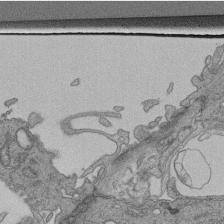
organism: Human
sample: Retinal organoid Rod and Cone cells